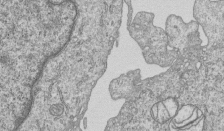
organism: Human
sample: MDA-MB-231 cells